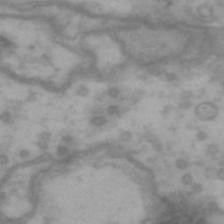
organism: Drosophila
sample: Brain